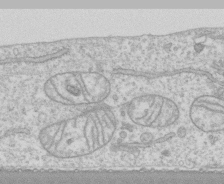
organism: Human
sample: CRL-1474